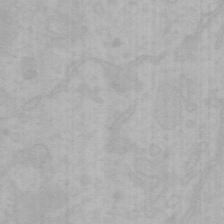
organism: Mouse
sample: Choroid plexus